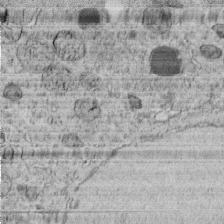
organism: C. elegans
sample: C. elegans embryo early stage